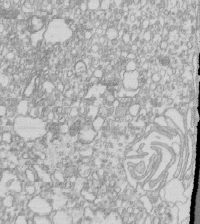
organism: Mouse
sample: Macrophages